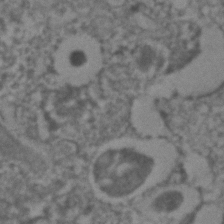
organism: C. elegans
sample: C. elegans embryo